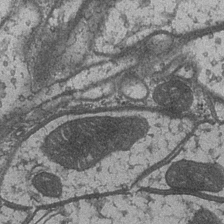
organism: Drosophila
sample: Optic medulla